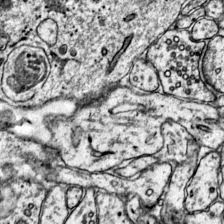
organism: Mouse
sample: Primary visual cortex